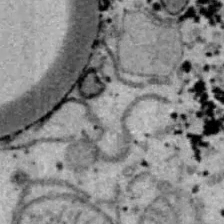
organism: Mouse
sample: Liver from an obese (ob/ob) mouse